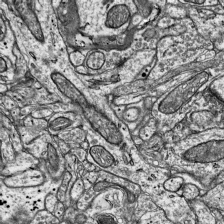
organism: Mouse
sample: Visual Cortex